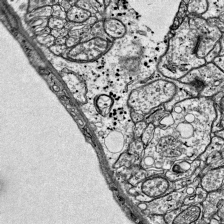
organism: Mouse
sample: Visual Cortex